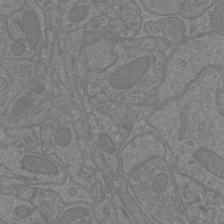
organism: Mouse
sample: Cortical neurons